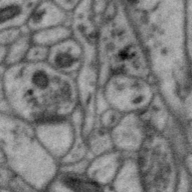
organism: Zebra finch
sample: Brain